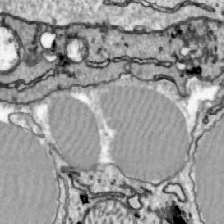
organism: Zebrafish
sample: Actinotrichia fibers